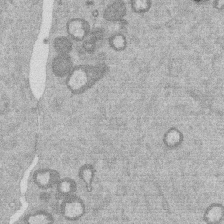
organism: Mouse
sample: Dividing mouse embryo 1 cell stage